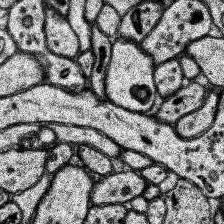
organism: Human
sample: Temporal Lobe